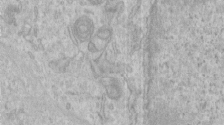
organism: Human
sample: Centriole in RPE cells